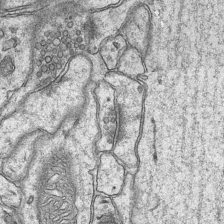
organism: Mouse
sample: CA1 Hippocampus